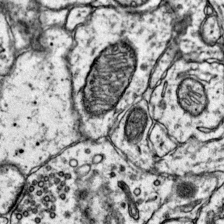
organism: Mouse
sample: Primary visual cortex